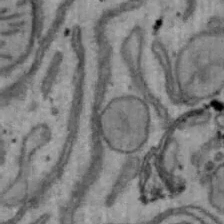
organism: Mouse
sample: Liver